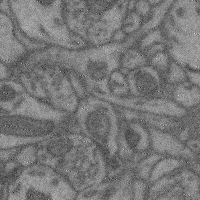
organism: Mouse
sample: Cerebral cortex